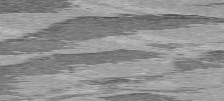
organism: C57BL Mouse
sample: Heart